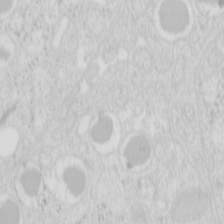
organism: Mouse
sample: Pancreas